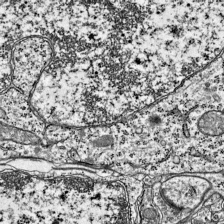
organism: Mouse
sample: Visual Cortex